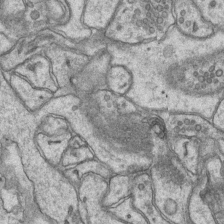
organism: Mouse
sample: CA1 Hippocampus